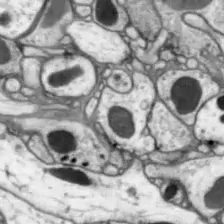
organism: Drosophila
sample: Optic lobe